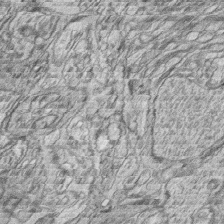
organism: Zebrafish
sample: synaptic ribbons in rod cells and cone cells